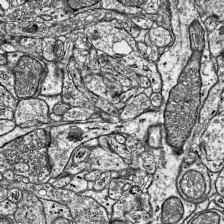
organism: Mouse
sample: Visual Cortex